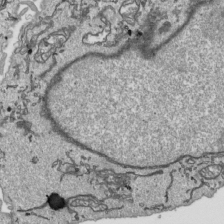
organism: Human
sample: Mitochondria in HCT116 cells